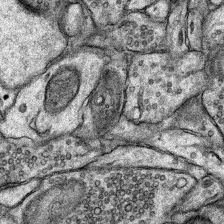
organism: Rat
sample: Hippocampus